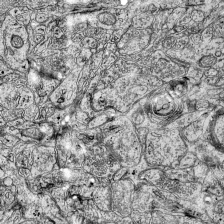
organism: Mouse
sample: Visual Cortex